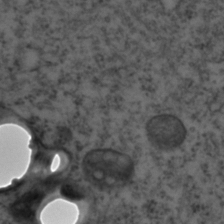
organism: C. elegans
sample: C. elegans embryo